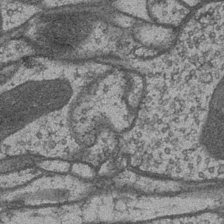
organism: Drosophila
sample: Optic medulla